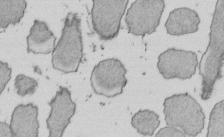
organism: E. coli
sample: Bacterial nucleoid